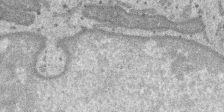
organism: Human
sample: Lung epithelial cells infected with SARS-CoV-2